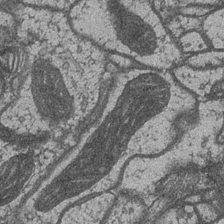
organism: Drosophila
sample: Optic medulla